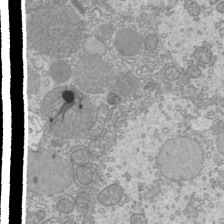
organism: Mouse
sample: Cilia; mouse epididymis